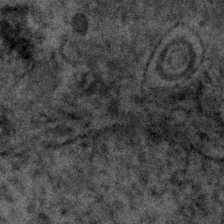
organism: Human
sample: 1205lu cells